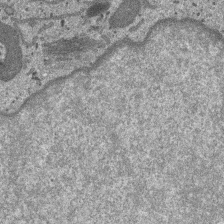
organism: Human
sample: Lung epithelial cells infected with SARS-CoV-2